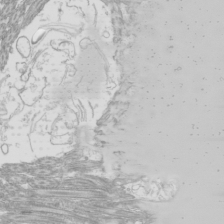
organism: Mouse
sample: Cilia; mouse epididymis